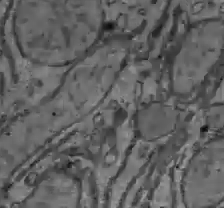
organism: C57BL Mouse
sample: Liver